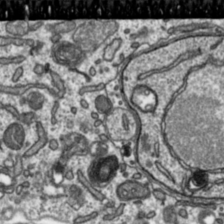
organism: Toxoplasma gondii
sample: Parasites in a vacuole inside a host cell